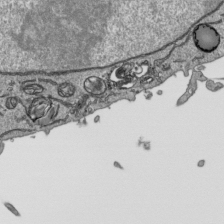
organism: Human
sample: Mitochondria in HCT116 cells